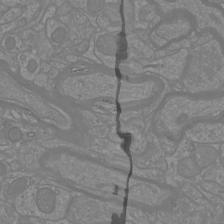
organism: Mouse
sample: Cortical neurons